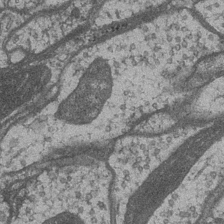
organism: Drosophila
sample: Optic medulla